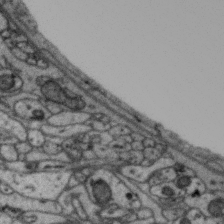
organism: Zebra finch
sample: Brain